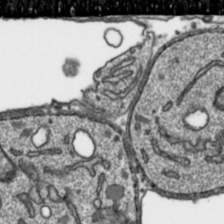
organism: Toxoplasma gondii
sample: Parasites in a vacuole inside a host cell